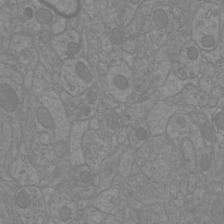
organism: Mouse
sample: Cortical neurons